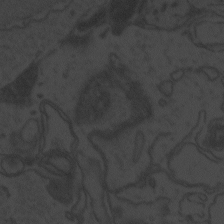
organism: Zebrafish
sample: Macrophage infected with Toxoplasma gondii